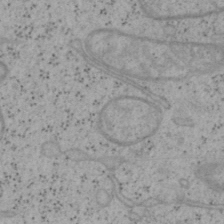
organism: Human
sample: HeLa cells